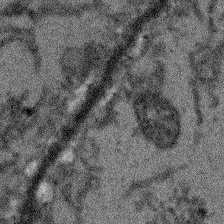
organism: Arabidopsis thaliana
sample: Root tip